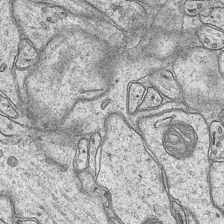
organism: Mouse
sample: CA1 Hippocampus